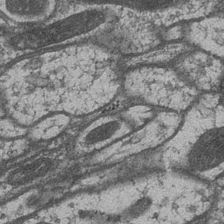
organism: Drosophila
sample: Optic medulla